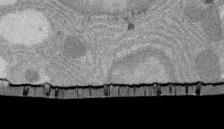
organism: Rat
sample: Salivary granule